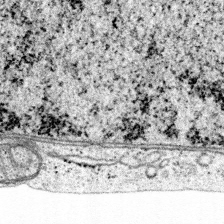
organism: Human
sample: HeLa cells